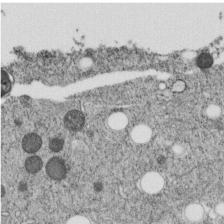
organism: C. elegans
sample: C. elegans embryo early stage